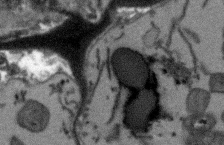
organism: Arabidopsis thaliana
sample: Root tip